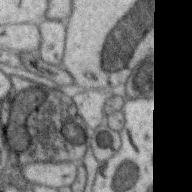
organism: Zebra finch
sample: Brain